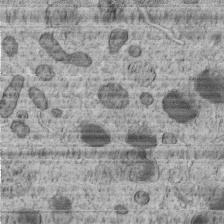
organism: C. elegans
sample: C. elegans embryo early stage